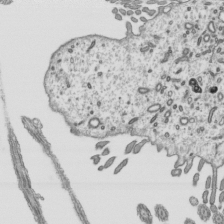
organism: Mouse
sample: Mouse epididymis efferent ductule cilia